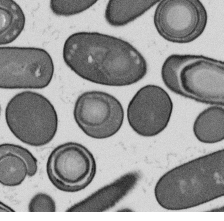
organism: B. subtilis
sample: Bacterial spore